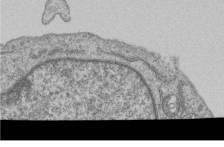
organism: Human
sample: MDA-MB-231 cells